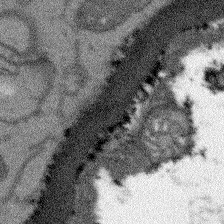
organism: Arabidopsis thaliana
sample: Root tip